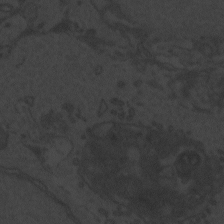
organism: Zebrafish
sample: Macrophage infected with Toxoplasma gondii